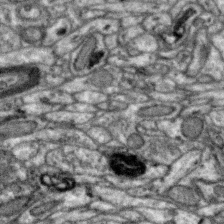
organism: Zebra finch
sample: Brain